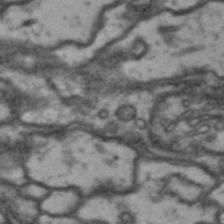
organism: Drosophila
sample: Brain